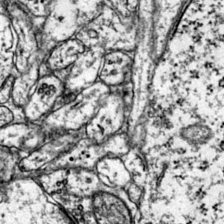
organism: Mouse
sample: Primary visual cortex